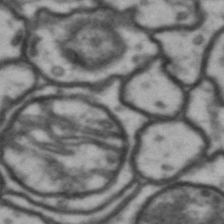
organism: Drosophila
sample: Brain